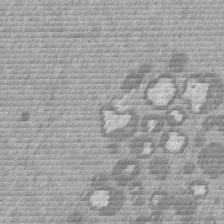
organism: Mouse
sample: Dividing mouse embryo 1 cell stage